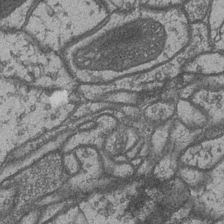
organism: Drosophila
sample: Optic medulla